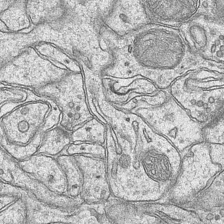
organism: Mouse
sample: CA1 Hippocampus